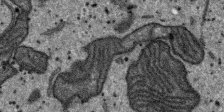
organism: Human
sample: Lung epithelial cells, uninfected (mock) control